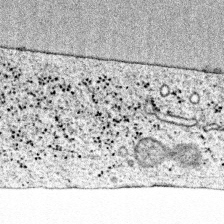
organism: Human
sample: HeLa cells